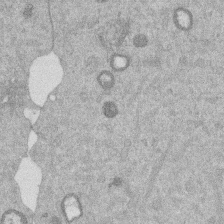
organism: Mouse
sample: Dividing mouse embryo 1 cell stage